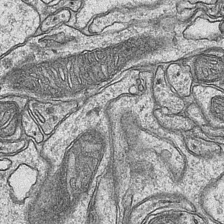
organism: Mouse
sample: CA1 Hippocampus